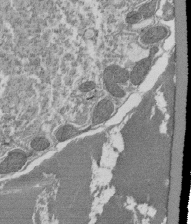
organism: Tetrahymena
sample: Cilia in tetrahymena